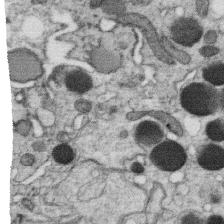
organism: C. elegans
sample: C. elegans oocyte; sperm cells